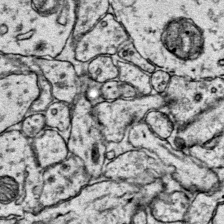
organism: Mouse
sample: Primary visual cortex